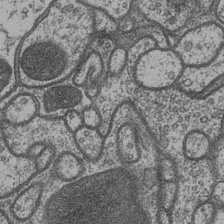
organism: Drosophila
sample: Optic medulla